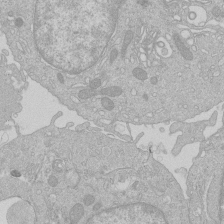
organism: Human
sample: Macrophage cells